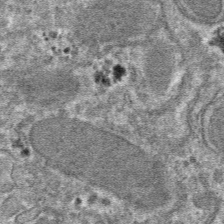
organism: Mouse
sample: Mouse hepatocytes